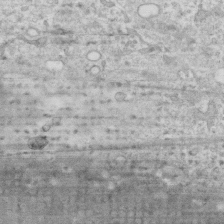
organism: Human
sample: Fibroblast cells